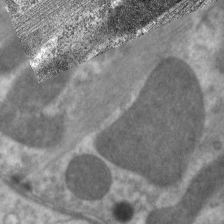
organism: C. elegans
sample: Pharynx